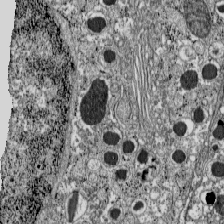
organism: C57BL Mouse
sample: Pancreatic islet